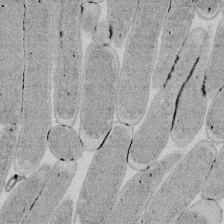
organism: E. coli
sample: Bacterial nucleoid